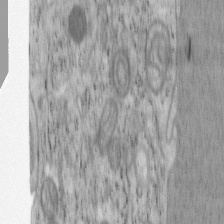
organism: Human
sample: HeLa cells